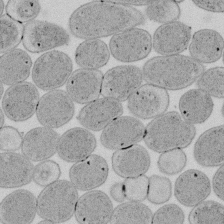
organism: E. coli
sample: Bacterial nucleoid